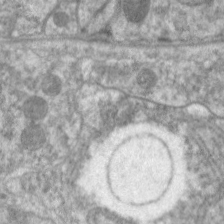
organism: C. elegans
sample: Pharynx